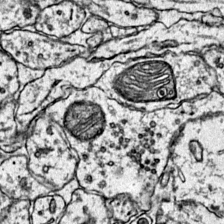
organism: Mouse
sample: Primary visual cortex